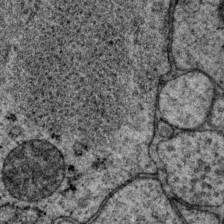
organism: P. pacificus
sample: Pharynx